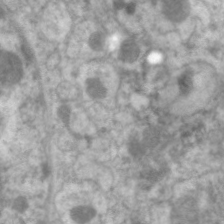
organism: C. elegans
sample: Pharynx